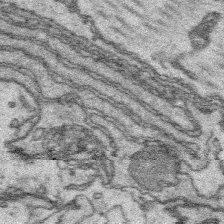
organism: Platynereis dumerilii